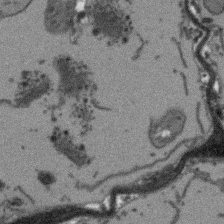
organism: Arabidopsis thaliana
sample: Root tip